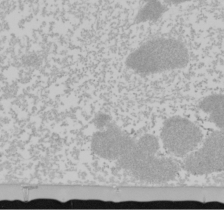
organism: Mouse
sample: Cancer cell death in ED-1 cells